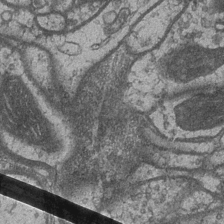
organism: Drosophila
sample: Optic medulla